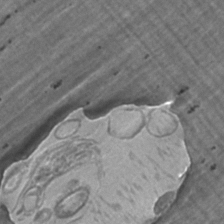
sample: Trachea